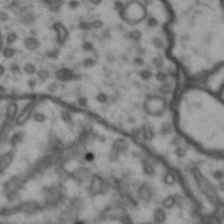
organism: Drosophila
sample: Brain